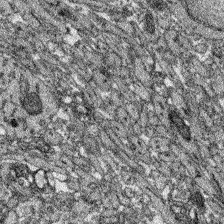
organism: Zebrafish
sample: Larval olfactory bulb